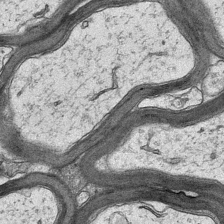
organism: Mouse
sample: CA1 Hippocampus